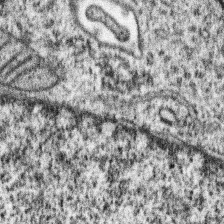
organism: Human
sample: HeLa cells